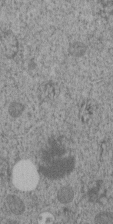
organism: C. elegans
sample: C. elegans embryo early stage